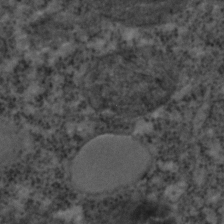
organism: C. elegans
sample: C. elegans embryo